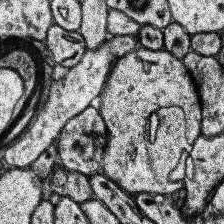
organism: Human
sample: Temporal Lobe